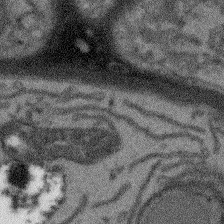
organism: Arabidopsis thaliana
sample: Root tip